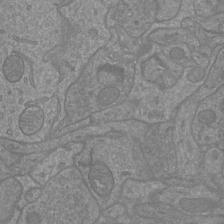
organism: Mouse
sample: Cortical neurons